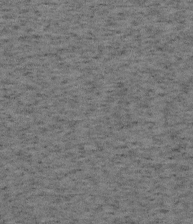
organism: Mouse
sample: OT-I killer T cells with ID8 ovarian cancer cells